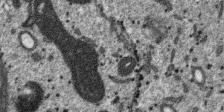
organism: Human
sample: Lung epithelial cells infected with SARS-CoV-2